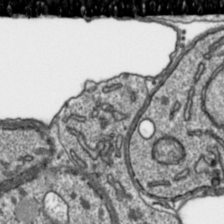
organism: Toxoplasma gondii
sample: Parasites in a vacuole inside a host cell